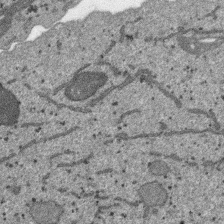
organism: Human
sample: Lung epithelial cells infected with SARS-CoV-2